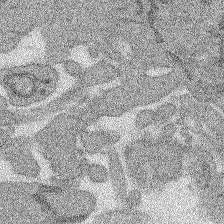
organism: Human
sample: HeLa cells